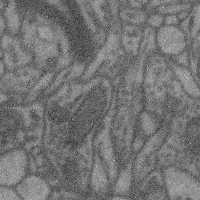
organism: Mouse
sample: Cerebral cortex